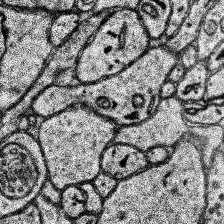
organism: Human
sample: Temporal Lobe